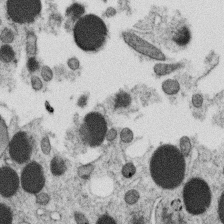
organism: C. elegans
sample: C. elegans oocyte; sperm cells